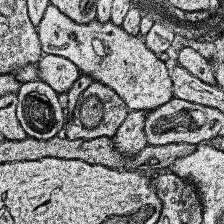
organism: Human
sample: Temporal Lobe